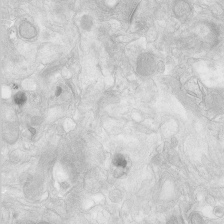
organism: Human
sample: Neocortex